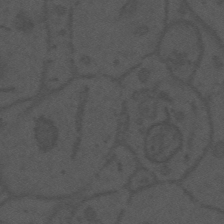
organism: Mouse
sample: Suprachiasmatic nucleus